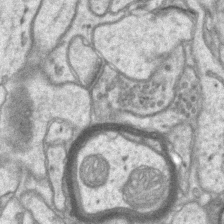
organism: Mouse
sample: CA1 Hippocampus